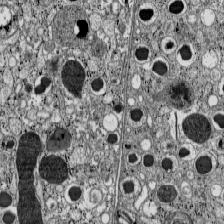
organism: C57BL Mouse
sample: Pancreatic islet